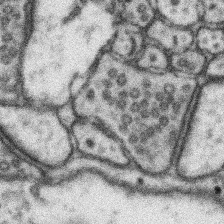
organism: Mouse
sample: Somatosensory cortex neuropil